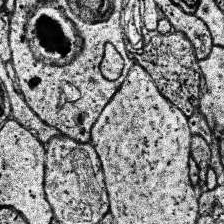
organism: Human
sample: Temporal Lobe